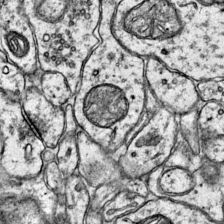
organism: Mouse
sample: Primary visual cortex